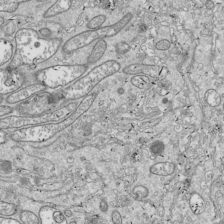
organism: Drosophila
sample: Cell division; meiosis; drosophila spermatocytes